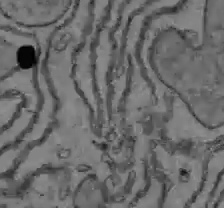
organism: C57BL Mouse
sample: Liver